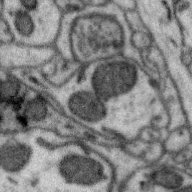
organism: Zebra finch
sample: Brain